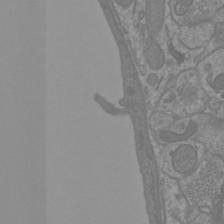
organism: Mouse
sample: Cortical neurons